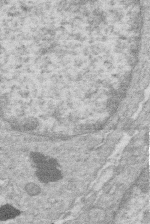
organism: Human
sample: Macrophage cells